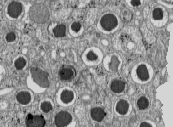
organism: C57BL Mouse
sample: Pancreatic islet